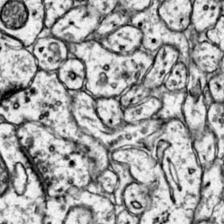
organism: Mouse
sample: Primary visual cortex